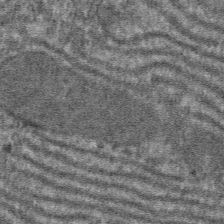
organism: Mouse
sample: Mouse hepatocytes